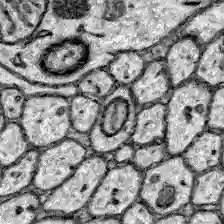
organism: Zebrafish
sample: Brain